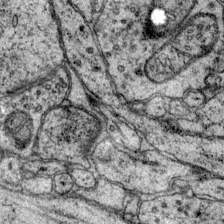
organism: Mouse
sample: Primary visual cortex